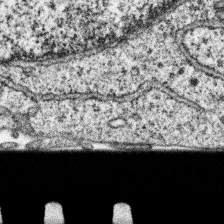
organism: Human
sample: HeLa cells